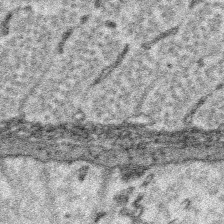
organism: Platynereis dumerilii